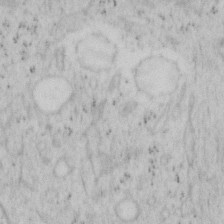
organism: Human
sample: HeLa cells